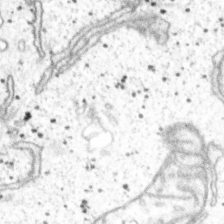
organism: Human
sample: HeLa cells